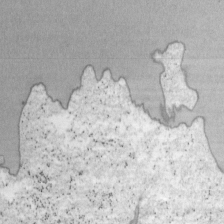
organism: Mouse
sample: OT-I killer T cells with ID8 ovarian cancer cells